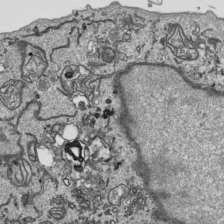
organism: Human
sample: Mitochondria in HCT116 cells